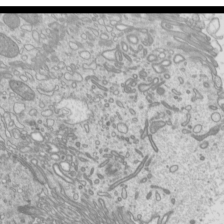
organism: Mouse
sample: Cilia; mouse epididymis